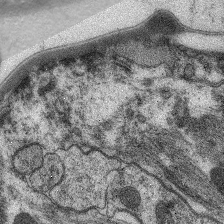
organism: C. elegans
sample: Pharynx